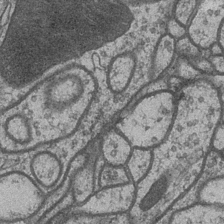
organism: Drosophila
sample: Optic medulla